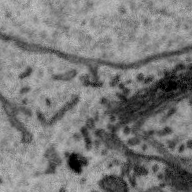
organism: Zebra finch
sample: Brain